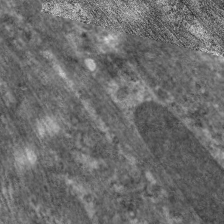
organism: C. elegans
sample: Pharynx